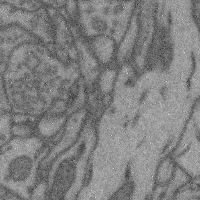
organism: Mouse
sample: Cerebral cortex